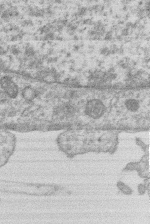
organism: Human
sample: Macrophage cells